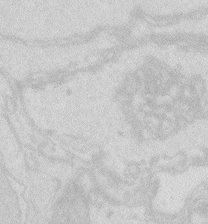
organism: Zebrafish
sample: Macrophage